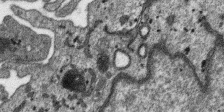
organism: Human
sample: Lung epithelial cells infected with SARS-CoV-2